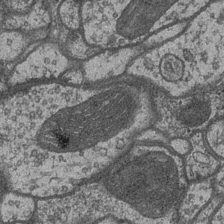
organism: Drosophila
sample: Optic medulla